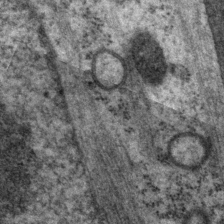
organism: P. pacificus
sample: Pharynx